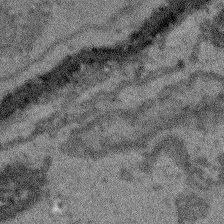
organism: Arabidopsis thaliana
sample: Root tip